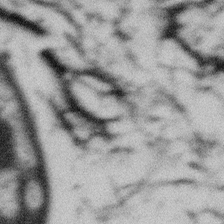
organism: Gemmata obscuriglobus